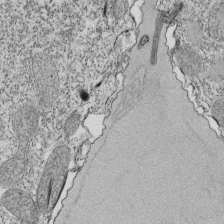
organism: Tetrahymena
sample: Cilia in tetrahymena